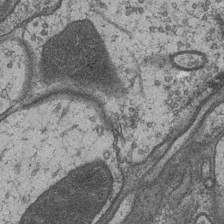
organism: Drosophila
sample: Optic medulla